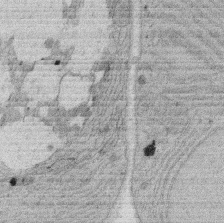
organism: Rat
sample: Salivary granule